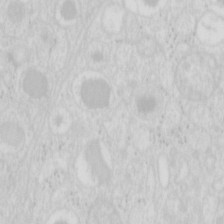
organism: Mouse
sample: Pancreas